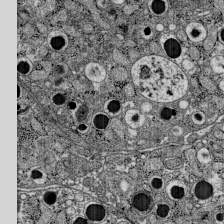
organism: C57BL Mouse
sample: Pancreatic islet